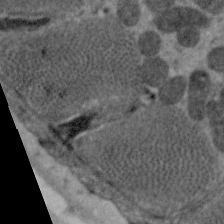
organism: C. elegans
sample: Pharynx